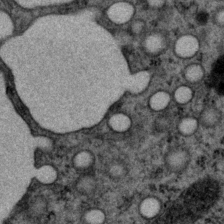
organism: P. pacificus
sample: Pharynx